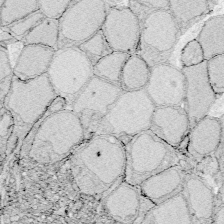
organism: Zebrafish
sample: Whole-Brain